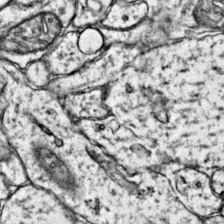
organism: Mouse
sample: Primary visual cortex